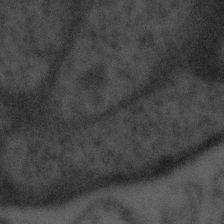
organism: Tuwongella immobilis